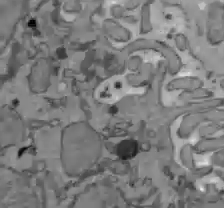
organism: C57BL Mouse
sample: Liver